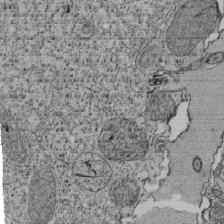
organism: Tetrahymena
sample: Cilia in tetrahymena